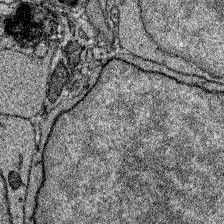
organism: Zebrafish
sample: Larval olfactory bulb